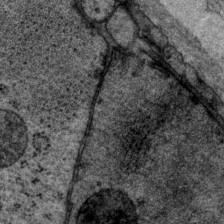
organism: P. pacificus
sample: Pharynx